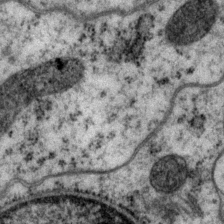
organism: P. pacificus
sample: Pharynx